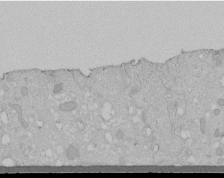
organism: Human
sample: Melanocyte Keratinocyte synapse skin construct